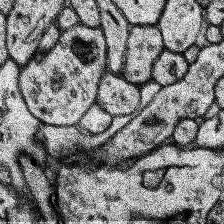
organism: Human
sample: Temporal Lobe